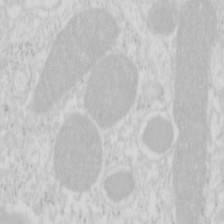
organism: Mouse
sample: Pancreas